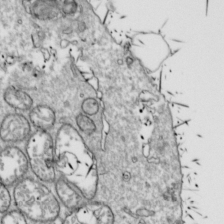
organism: Drosophila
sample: Cell division; meiosis; drosophila spermatocytes